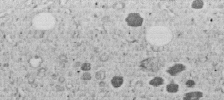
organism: C. elegans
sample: C. elegans embryo early stage